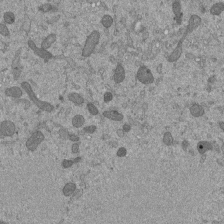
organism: Mouse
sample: ED-1 cell nuclei; centrioles